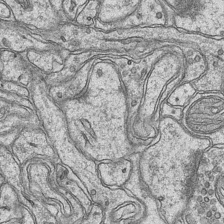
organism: Mouse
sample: CA1 Hippocampus